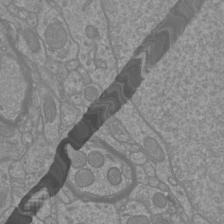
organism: Mouse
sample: Cortical neurons